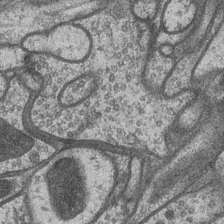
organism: Drosophila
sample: Optic medulla